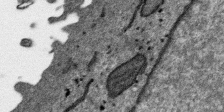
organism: Human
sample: Lung epithelial cells, uninfected (mock) control